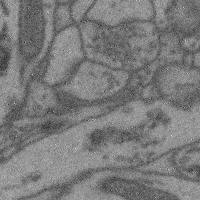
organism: Mouse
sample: Cerebral cortex